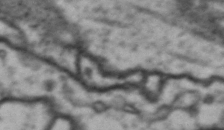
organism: Drosophila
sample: Brain